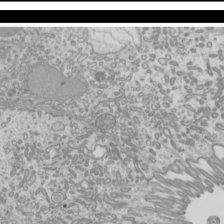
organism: Mouse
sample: Cilia; mouse epididymis